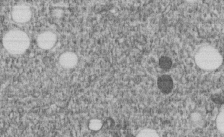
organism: C. elegans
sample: C. elegans embryo early stage